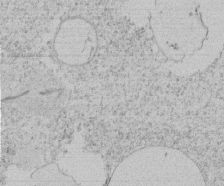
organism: Tetrahymena